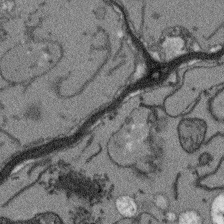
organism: Arabidopsis thaliana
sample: Root tip